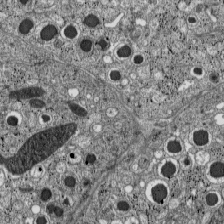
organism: C57BL Mouse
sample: Pancreatic islet